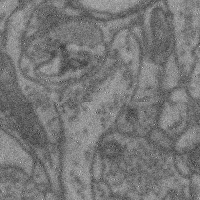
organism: Mouse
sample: Cerebral cortex